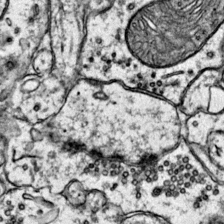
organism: Mouse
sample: Primary visual cortex